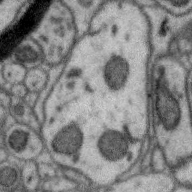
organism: Zebra finch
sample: Brain